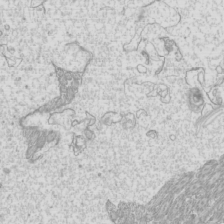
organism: Mouse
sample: Cilia; mouse epididymis